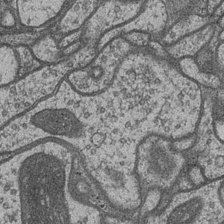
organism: Drosophila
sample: Optic medulla